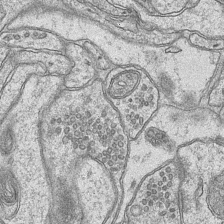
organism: Mouse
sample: CA1 Hippocampus